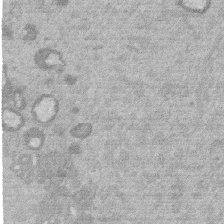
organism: Mouse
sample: Dividing mouse embryo 1 cell stage